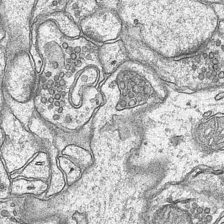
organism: Mouse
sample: CA1 Hippocampus